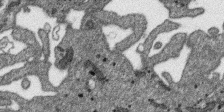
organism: Human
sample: Lung epithelial cells infected with SARS-CoV-2